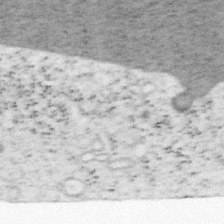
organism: Mouse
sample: OT-I killer T cells with ID8 ovarian cancer cells